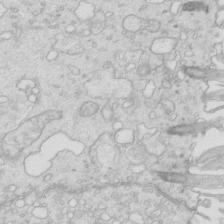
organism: Mouse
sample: Multiciliated cells